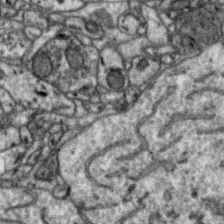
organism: Zebra finch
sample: Brain